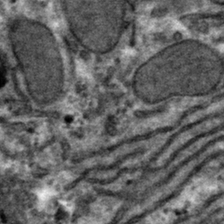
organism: Mouse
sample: Mouse hepatocytes